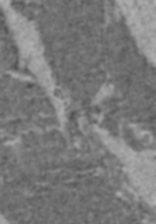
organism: C57BL Mouse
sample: Heart